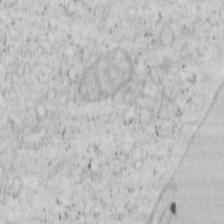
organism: Human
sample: HeLa cells